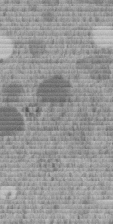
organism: C. elegans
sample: C. elegans embryo early stage